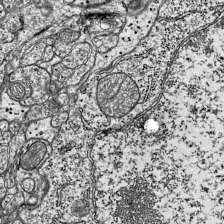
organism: Mouse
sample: Visual Cortex